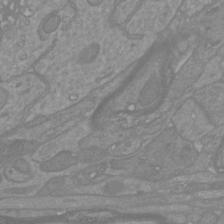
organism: Mouse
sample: Cortical neurons